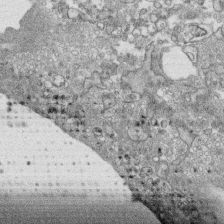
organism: Human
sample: CRL-1474